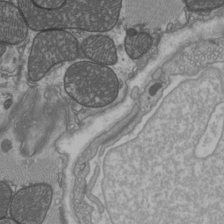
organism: C57BL Mouse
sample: Heart